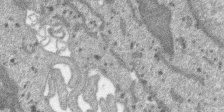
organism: Human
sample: Lung epithelial cells infected with SARS-CoV-2